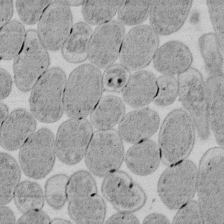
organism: E. coli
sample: Bacterial nucleoid